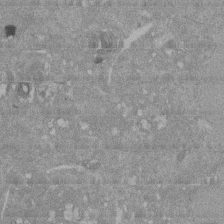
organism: Mouse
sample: ED-1 cell nuclei; centrioles